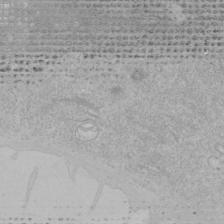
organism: Human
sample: Mitochondria in HCT116 cells